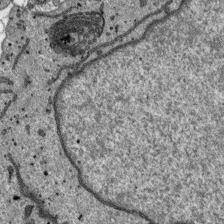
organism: Human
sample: Lung epithelial cells, uninfected (mock) control